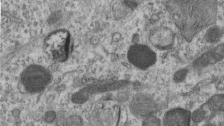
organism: Mouse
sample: Centriole in ependymal cells